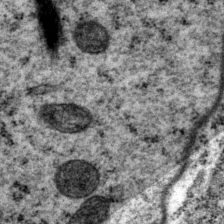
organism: P. pacificus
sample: Pharynx